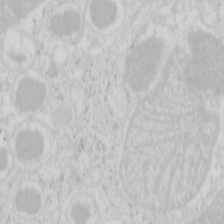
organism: Mouse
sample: Pancreas